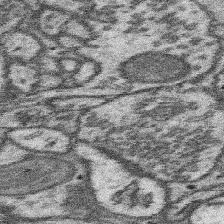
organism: Mouse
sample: Somatosensory cortex neuropil